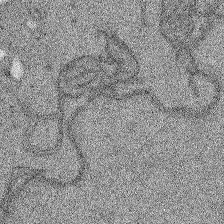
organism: Human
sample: HeLa cells